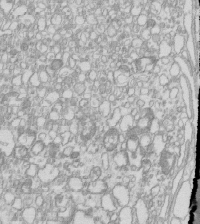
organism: Mouse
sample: Macrophages